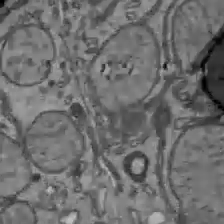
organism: C57BL Mouse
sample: Liver